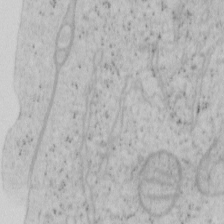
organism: Human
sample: HeLa cells